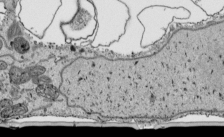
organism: Human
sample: Mitochondria in HCT116 cells